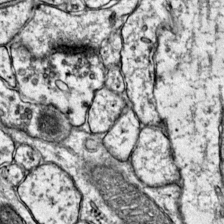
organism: Mouse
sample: Primary visual cortex